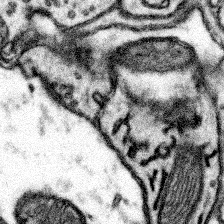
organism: Mouse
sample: Somatosensory cortex neuropil